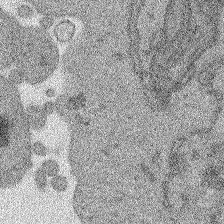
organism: Human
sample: HeLa cells